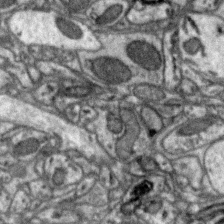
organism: Zebra finch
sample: Brain